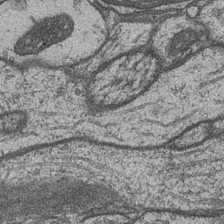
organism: Drosophila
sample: Optic medulla